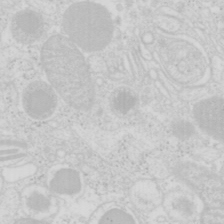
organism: Mouse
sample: Pancreas